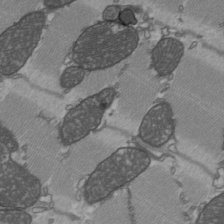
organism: C57BL Mouse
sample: Heart